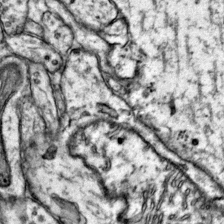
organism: Mouse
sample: Primary visual cortex